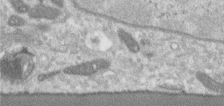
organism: Human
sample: Centriole in RPE cells